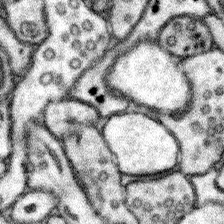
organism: Mouse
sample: Somatosensory cortex neuropil